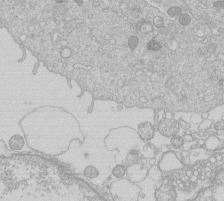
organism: Human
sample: Macrophage cells